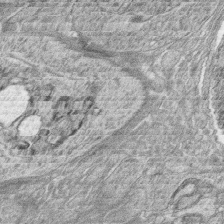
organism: Zebrafish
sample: synaptic ribbons in rod cells and cone cells